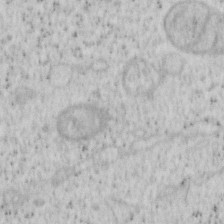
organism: Human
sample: HeLa cells